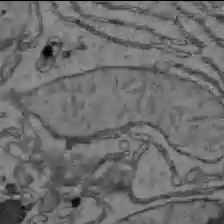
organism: C57BL Mouse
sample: Liver